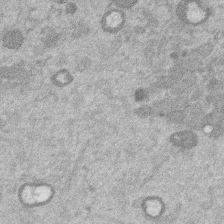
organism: Mouse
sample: Dividing mouse embryo 1 cell stage